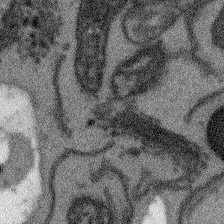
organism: Arabidopsis thaliana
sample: Root tip